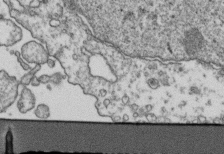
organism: Human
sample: Activated Jurkat CD4+ T cells